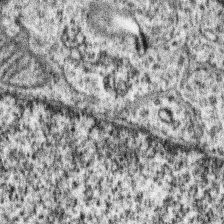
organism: Human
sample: HeLa cells